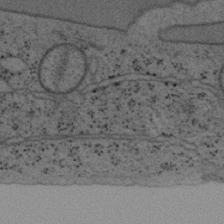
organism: Human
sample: HeLa cells